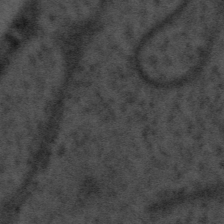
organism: Tuwongella immobilis